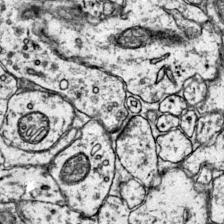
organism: Mouse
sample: Primary visual cortex